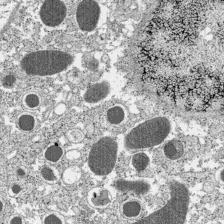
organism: C57BL Mouse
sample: Pancreatic islet